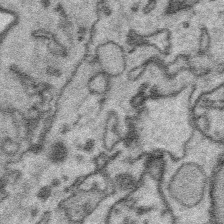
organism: Platynereis dumerilii